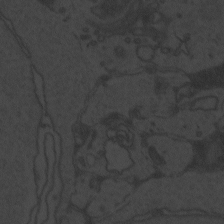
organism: Zebrafish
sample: Macrophage infected with Toxoplasma gondii